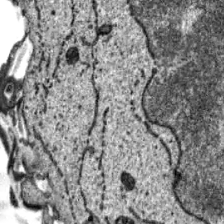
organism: Human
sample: HeLa cells